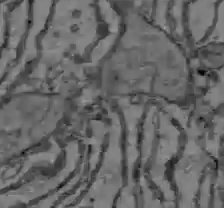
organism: C57BL Mouse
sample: Liver